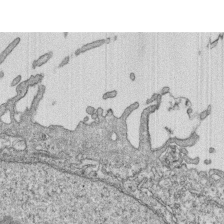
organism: Human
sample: HeLa cell HIV synapse